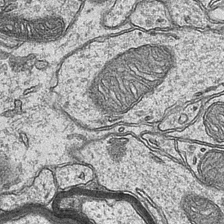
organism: Mouse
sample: CA1 Hippocampus